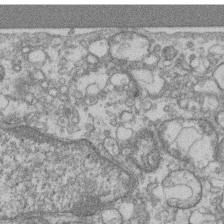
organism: Mouse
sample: T cell stromal cell synapse